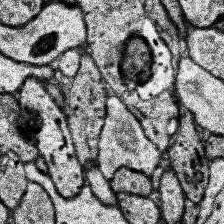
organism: Human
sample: Temporal Lobe